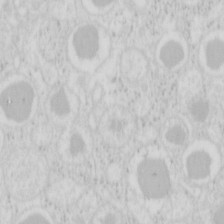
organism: Mouse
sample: Pancreas